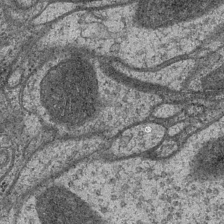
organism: Drosophila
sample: Optic medulla